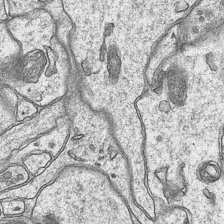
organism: Mouse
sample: CA1 Hippocampus